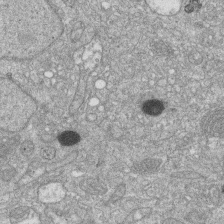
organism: Human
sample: HeLa cell HIV synapse